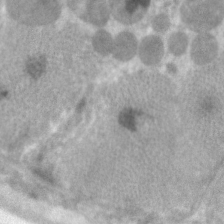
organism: C. elegans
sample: Pharynx